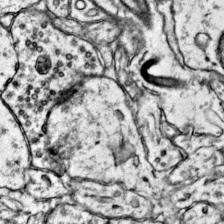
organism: Mouse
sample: Primary visual cortex